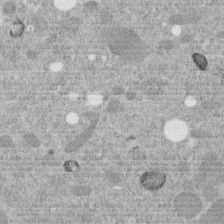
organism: C. elegans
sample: C. elegans embryo early stage